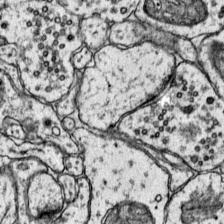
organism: Mouse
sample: Primary visual cortex